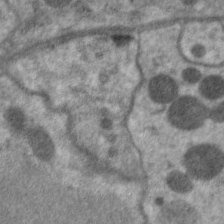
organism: C. elegans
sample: Pharynx